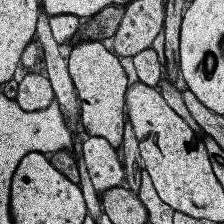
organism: Human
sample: Temporal Lobe